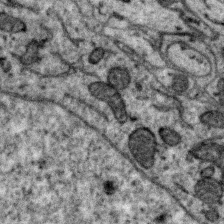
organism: Zebra finch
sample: Brain